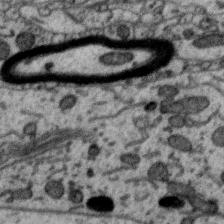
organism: Zebra finch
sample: Brain